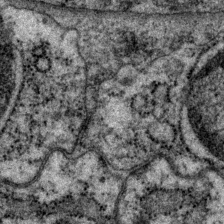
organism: P. pacificus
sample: Pharynx